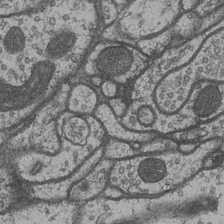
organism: Drosophila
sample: Optic medulla